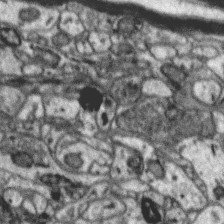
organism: Zebra finch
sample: Brain